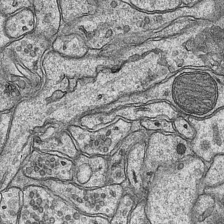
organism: Mouse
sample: CA1 Hippocampus